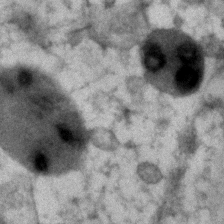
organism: Human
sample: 1205lu cells